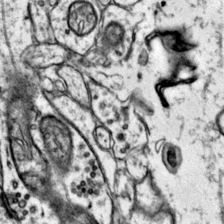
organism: Mouse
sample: Primary visual cortex